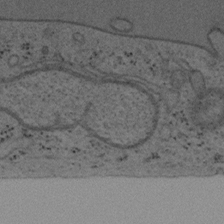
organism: Human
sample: HeLa cells